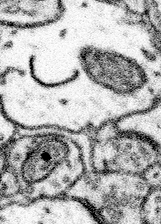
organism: Mouse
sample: Somatosensory cortex neuropil